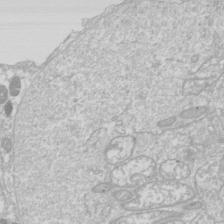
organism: Drosophila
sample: Cell division; meiosis; drosophila spermatocytes